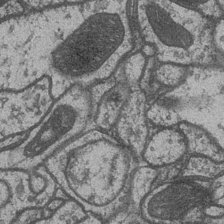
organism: Drosophila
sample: Optic medulla